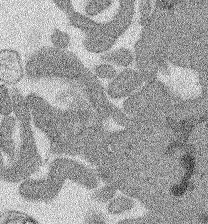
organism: Human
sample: HeLa cells